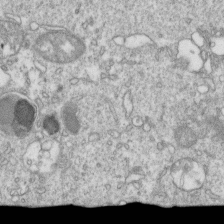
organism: Mouse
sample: Activated OT-1 CD8+ T cells